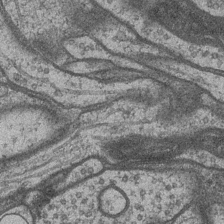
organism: Drosophila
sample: Optic medulla